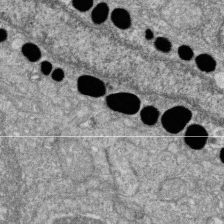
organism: Zebrafish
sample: Cilia; retinal pigment epithelium